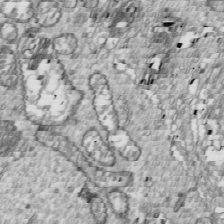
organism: Drosophila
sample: Cell division; meiosis; drosophila spermatocytes